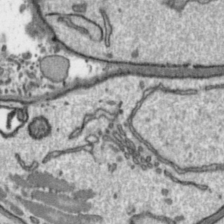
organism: Toxoplasma gondii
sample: Parasites in a vacuole inside a host cell